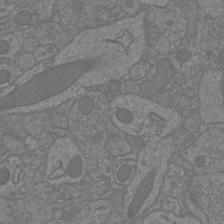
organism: Mouse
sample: Cortical neurons